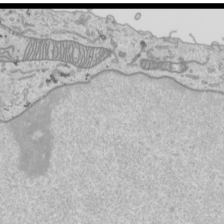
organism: Human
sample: Mitochondria in HCT116 cells